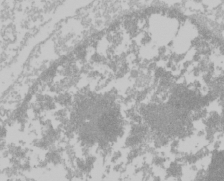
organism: Mouse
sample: Cancer cell death in ED-1 cells